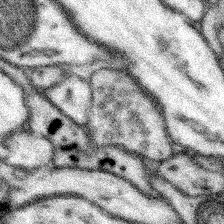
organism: Mouse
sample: Somatosensory cortex neuropil